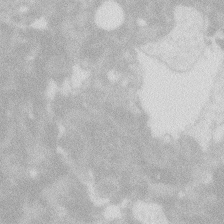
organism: Zebrafish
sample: Macrophage